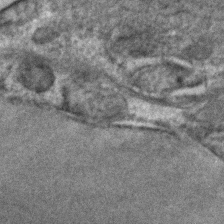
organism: C. elegans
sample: C. elegans embryo